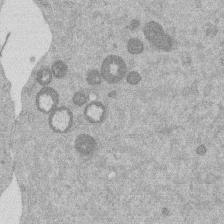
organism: Mouse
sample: Dividing mouse embryo 1 cell stage